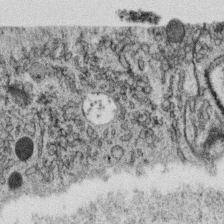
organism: C. elegans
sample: C. elegans oocyte; sperm cells